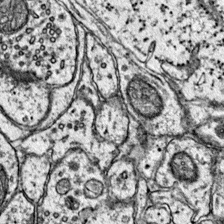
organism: Mouse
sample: Primary visual cortex